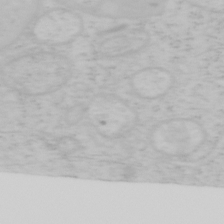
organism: Mouse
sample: OT-I killer T cells with ID8 ovarian cancer cells